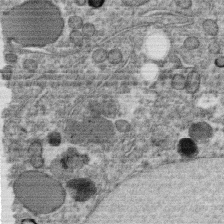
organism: C. elegans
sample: C. elegans oocyte; sperm cells